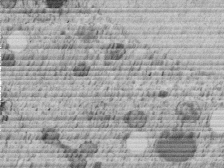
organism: C. elegans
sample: C. elegans embryo early stage